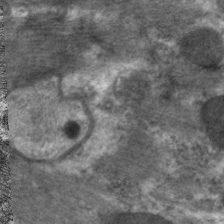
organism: C. elegans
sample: Pharynx